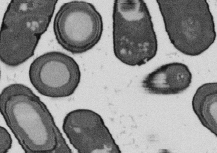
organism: B. subtilis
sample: Bacterial spore